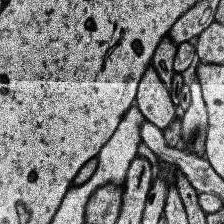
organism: Human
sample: Temporal Lobe